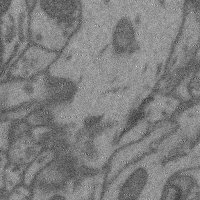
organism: Mouse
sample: Cerebral cortex